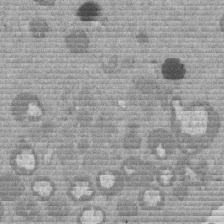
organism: Mouse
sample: Dividing mouse embryo 1 cell stage